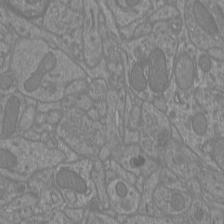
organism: Mouse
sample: Cortical neurons